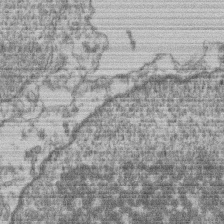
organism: Mouse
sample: T cell stromal cell synapse